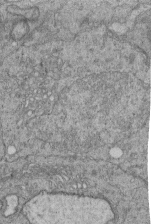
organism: Human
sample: Retinal organoid Rod and Cone cells